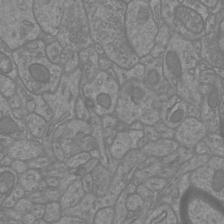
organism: Mouse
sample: Cortical neurons